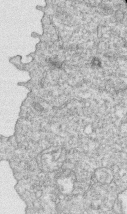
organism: Human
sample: HeLa cell HIV synapse